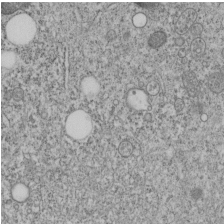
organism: C. elegans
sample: C. elegans embryo early stage